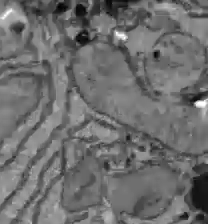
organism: C57BL Mouse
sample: Liver